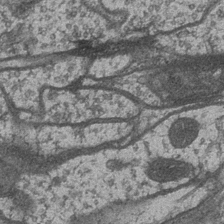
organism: Drosophila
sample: Optic medulla